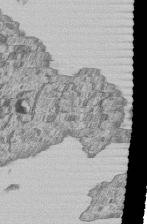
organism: Human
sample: MDA-MB-231 cells